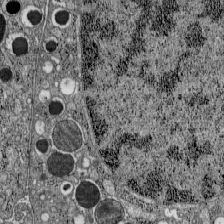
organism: C57BL Mouse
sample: Pancreatic islet